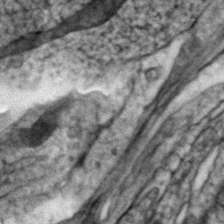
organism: Zebrafish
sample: Zebrafish embryo